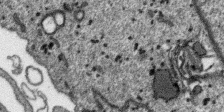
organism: Human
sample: Lung epithelial cells infected with SARS-CoV-2